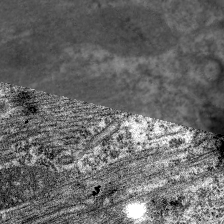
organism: C. elegans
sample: Pharynx